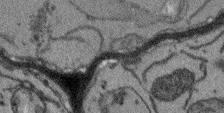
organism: Arabidopsis thaliana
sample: Root tip